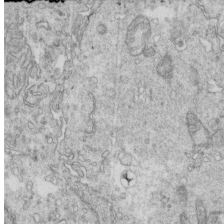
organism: Mouse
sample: Multiciliated cells